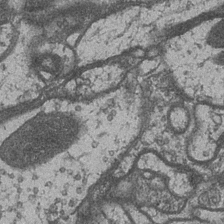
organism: Drosophila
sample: Optic medulla